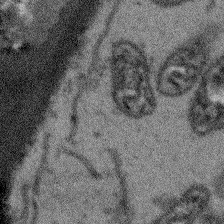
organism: Arabidopsis thaliana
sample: Root tip